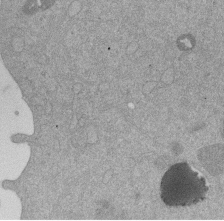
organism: Mouse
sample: Dividing mouse embryo 1 cell stage